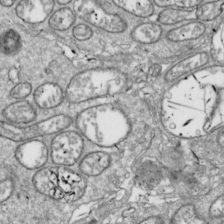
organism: Drosophila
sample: Cell division; meiosis; drosophila spermatocytes